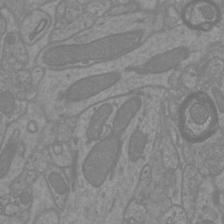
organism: Mouse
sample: Cortical neurons